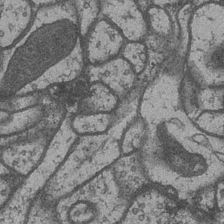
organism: Drosophila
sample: Optic medulla